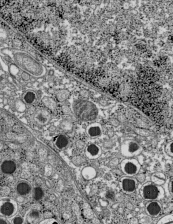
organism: C57BL Mouse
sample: Pancreatic islet